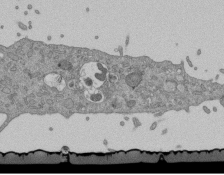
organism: Mouse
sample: ED-1 cell nuclei; centrioles